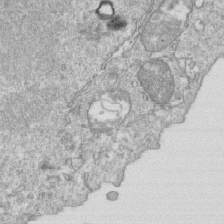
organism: Mouse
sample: Activated OT-1 CD8+ T cells